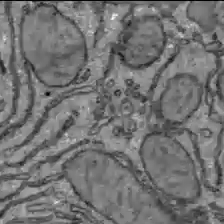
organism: C57BL Mouse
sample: Liver